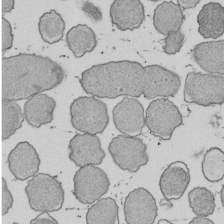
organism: E. coli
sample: Bacterial nucleoid